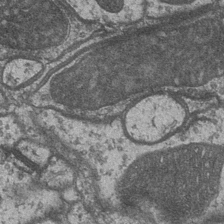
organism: Drosophila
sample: Optic medulla